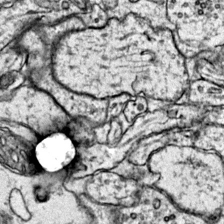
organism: Mouse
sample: Primary visual cortex